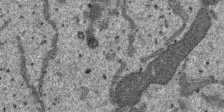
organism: Human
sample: Lung epithelial cells infected with SARS-CoV-2